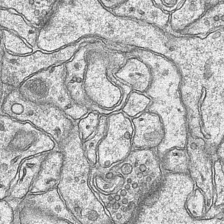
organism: Mouse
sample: CA1 Hippocampus